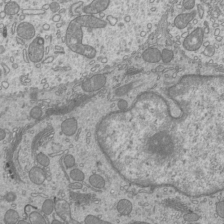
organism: Mouse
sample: Cilia; mouse epididymis